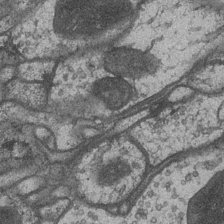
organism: Drosophila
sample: Optic medulla